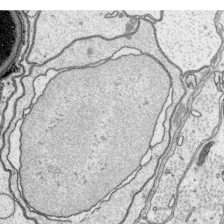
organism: Platynereis dumerilii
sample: Parapodia